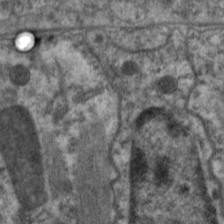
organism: C. elegans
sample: Pharynx